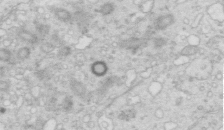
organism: Mouse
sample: Multiciliated cells